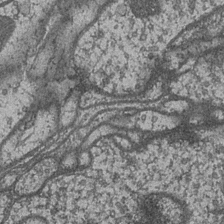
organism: Drosophila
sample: Optic medulla